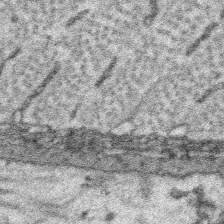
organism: Platynereis dumerilii